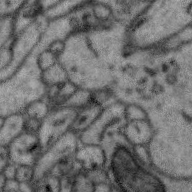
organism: Zebra finch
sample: Brain